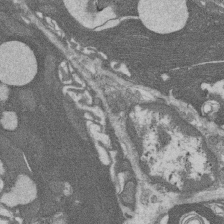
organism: Rat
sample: Salivary granule